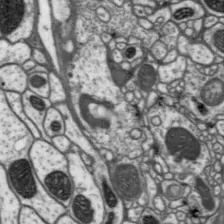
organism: Drosophila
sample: Protocerebral bridge